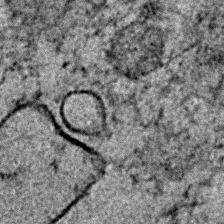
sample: Trachea